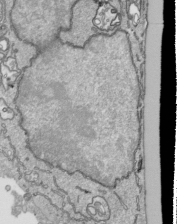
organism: Human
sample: Mitochondria in HCT116 cells